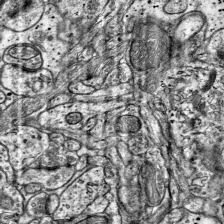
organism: Mouse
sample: Visual Cortex